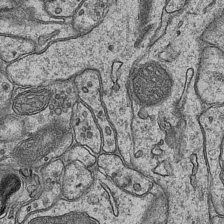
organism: Mouse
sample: CA1 Hippocampus